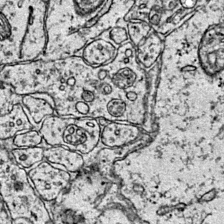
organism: Mouse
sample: Primary visual cortex